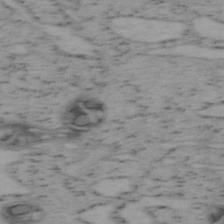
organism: Mouse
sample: OT-I killer T cells with ID8 ovarian cancer cells